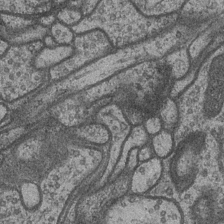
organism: Drosophila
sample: Optic medulla